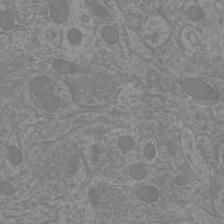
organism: Mouse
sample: Cortical neurons